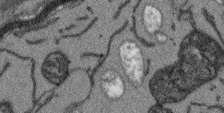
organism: Arabidopsis thaliana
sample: Root tip